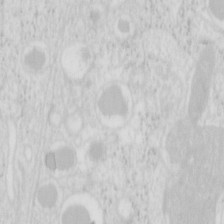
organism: Mouse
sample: Pancreas